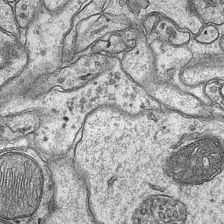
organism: Mouse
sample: CA1 Hippocampus